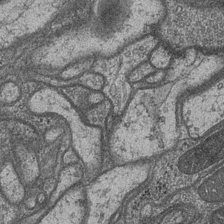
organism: Drosophila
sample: Optic medulla